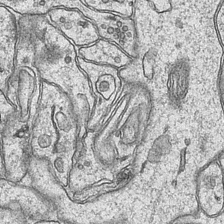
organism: Mouse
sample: CA1 Hippocampus